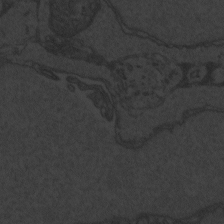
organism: Zebrafish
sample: Macrophage infected with Toxoplasma gondii